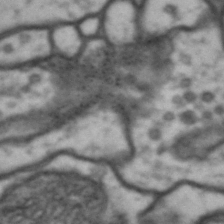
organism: Drosophila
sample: Brain